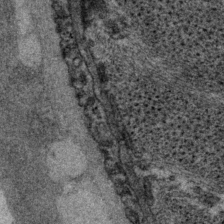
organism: P. pacificus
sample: Pharynx